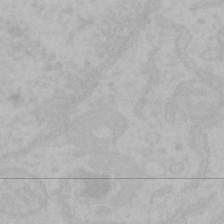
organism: Mouse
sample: Choroid plexus